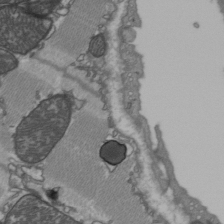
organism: C57BL Mouse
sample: Heart